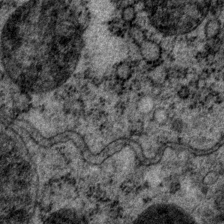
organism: P. pacificus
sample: Pharynx